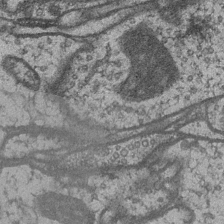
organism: Drosophila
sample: Optic medulla